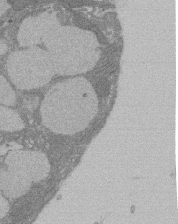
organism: Rat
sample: Salivary granule